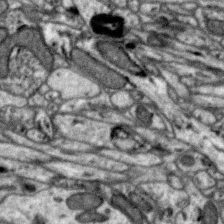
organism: Zebra finch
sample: Brain